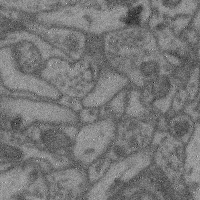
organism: Mouse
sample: Cerebral cortex